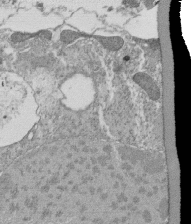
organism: Tetrahymena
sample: Cilia in tetrahymena